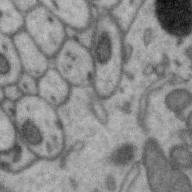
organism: Zebra finch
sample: Brain